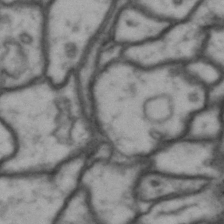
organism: Drosophila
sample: Brain